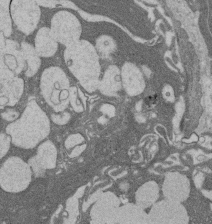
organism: Rat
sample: Salivary granule